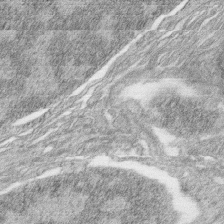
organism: Zebrafish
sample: synaptic ribbons in rod cells and cone cells